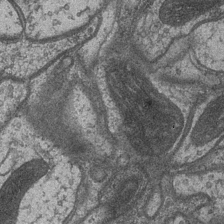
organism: Drosophila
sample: Optic medulla